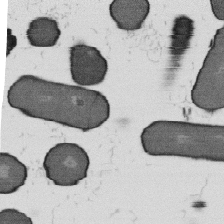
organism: B. subtilis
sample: Bacterial spore